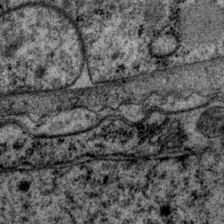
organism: P. pacificus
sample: Pharynx